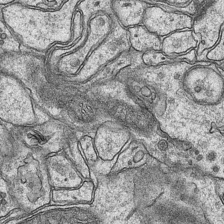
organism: Mouse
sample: CA1 Hippocampus